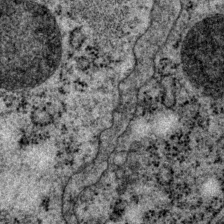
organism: P. pacificus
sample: Pharynx